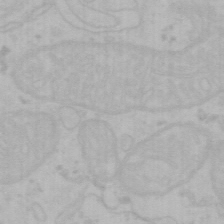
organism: Mouse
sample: Choroid plexus